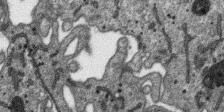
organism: Human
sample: Lung epithelial cells infected with SARS-CoV-2